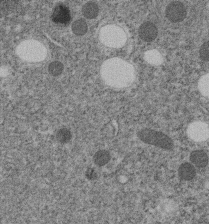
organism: C. elegans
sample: C. elegans embryo early stage